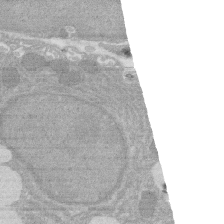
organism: Rat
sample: Salivary granule